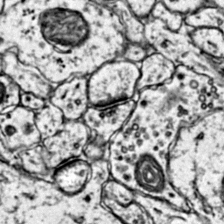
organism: Mouse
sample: Primary visual cortex